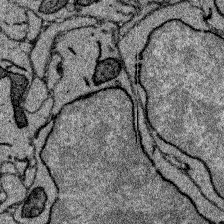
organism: Zebrafish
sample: Larval olfactory bulb